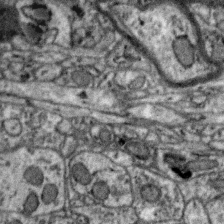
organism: Zebra finch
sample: Brain